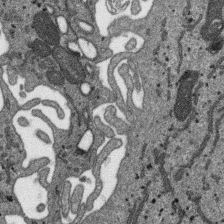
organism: Human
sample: Lung epithelial cells infected with SARS-CoV-2